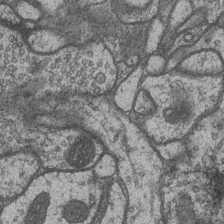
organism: Drosophila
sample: Optic medulla